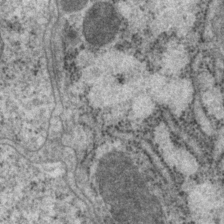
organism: P. pacificus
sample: Pharynx